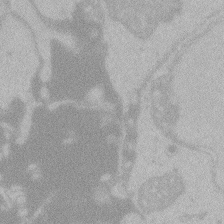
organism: Zebrafish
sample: Macrophage infected with Toxoplasma gondii